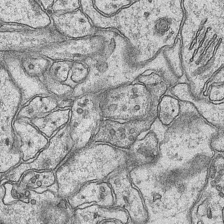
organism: Mouse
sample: CA1 Hippocampus